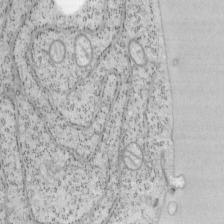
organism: Mouse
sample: OT-I killer T cells with ID8 ovarian cancer cells